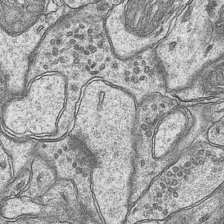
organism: Mouse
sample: CA1 Hippocampus